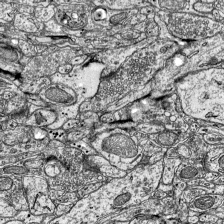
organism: Mouse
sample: Visual Cortex